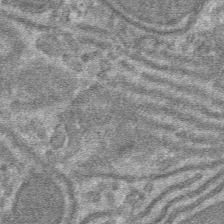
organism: Mouse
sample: Mouse hepatocytes